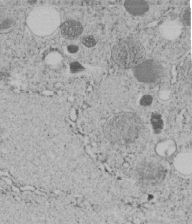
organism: C. elegans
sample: C. elegans embryo early stage